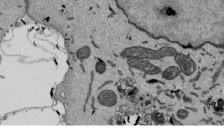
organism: Mouse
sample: ED-1 cell nuclei; centrioles